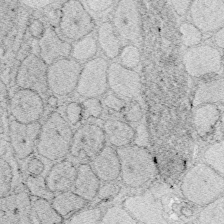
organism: Zebrafish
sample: Whole-Brain